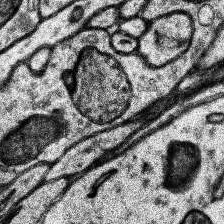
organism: Human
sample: Temporal Lobe